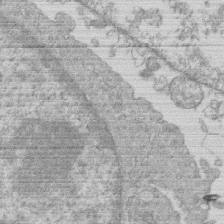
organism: Human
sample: Macrophage cells